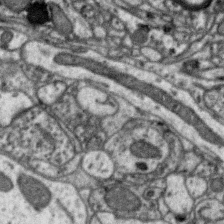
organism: Zebra finch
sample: Brain